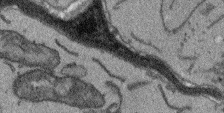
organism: Arabidopsis thaliana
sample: Root tip